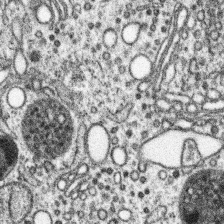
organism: Human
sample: HeLa cells